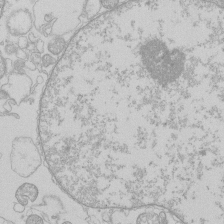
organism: Human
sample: Macrophage cells